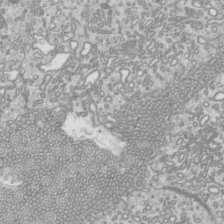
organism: Mouse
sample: Cilia; mouse epididymis